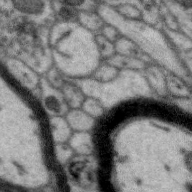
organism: Zebra finch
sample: Brain